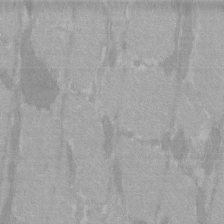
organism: C57BL Mouse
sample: Tibialis anterior muscle cell